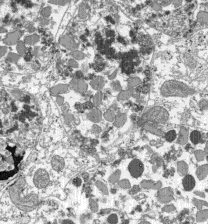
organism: C57BL Mouse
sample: Pancreatic islet